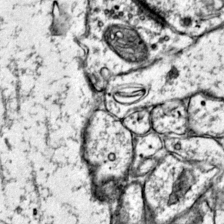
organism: Mouse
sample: Primary visual cortex